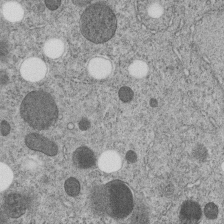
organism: C. elegans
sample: C. elegans embryo early stage